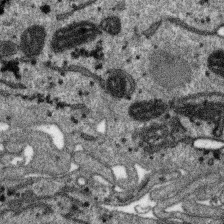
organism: Human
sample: Lung epithelial cells infected with SARS-CoV-2